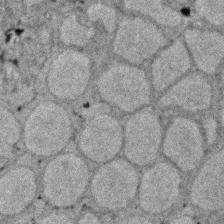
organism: Zebrafish